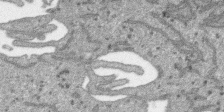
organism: Human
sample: Lung epithelial cells infected with SARS-CoV-2